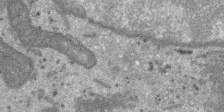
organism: Human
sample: Lung epithelial cells infected with SARS-CoV-2